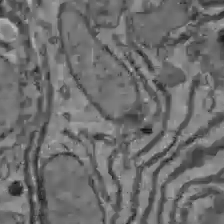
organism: C57BL Mouse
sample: Liver